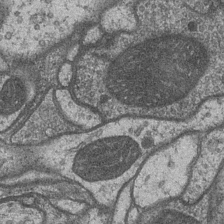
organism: Drosophila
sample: Optic medulla